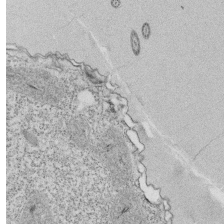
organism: Tetrahymena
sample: Cilia in tetrahymena